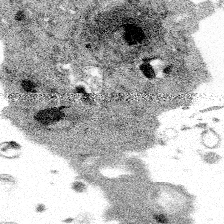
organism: Spongilla lacustris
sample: Multiple